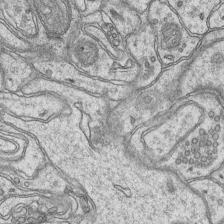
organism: Mouse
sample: CA1 Hippocampus